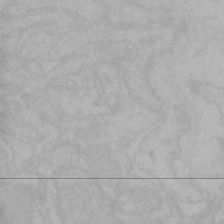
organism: Mouse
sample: Choroid plexus